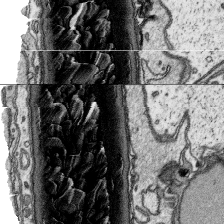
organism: Platynereis dumerilii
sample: Parapodia